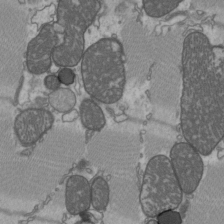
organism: C57BL Mouse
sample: Heart